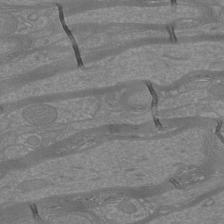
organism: Mouse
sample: Cortical neurons